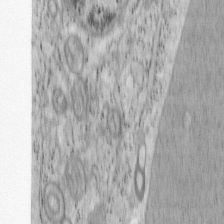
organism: Human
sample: HeLa cells